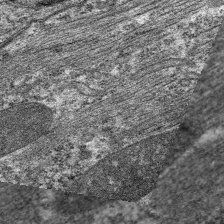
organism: C. elegans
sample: Pharynx